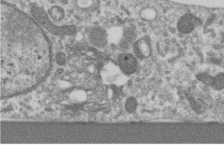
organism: Human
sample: Centriole in RPE cells